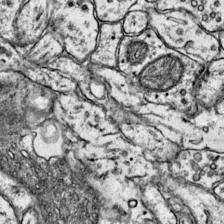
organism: Mouse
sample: Primary visual cortex